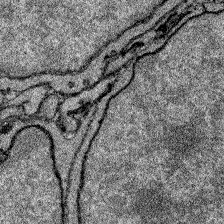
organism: Zebrafish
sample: Larval olfactory bulb